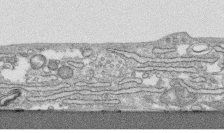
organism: Human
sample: CRL-1474